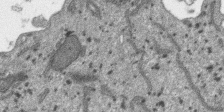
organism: Human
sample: Lung epithelial cells infected with SARS-CoV-2